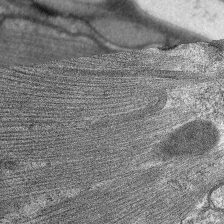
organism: C. elegans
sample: Pharynx